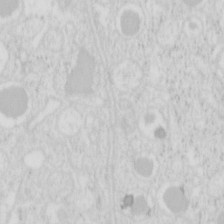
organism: Mouse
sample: Pancreas